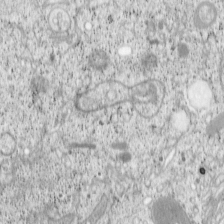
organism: African green monkey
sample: COS-7 cells